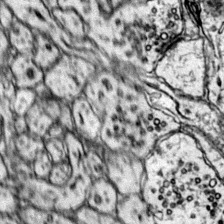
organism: Mouse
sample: Primary visual cortex